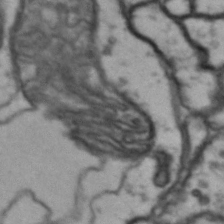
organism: Drosophila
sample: Brain